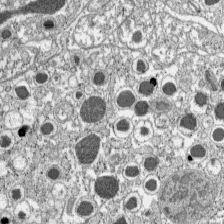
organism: C57BL Mouse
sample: Pancreatic islet